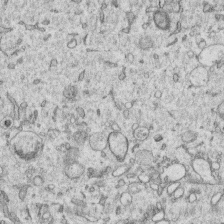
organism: Human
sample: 1205lu cells